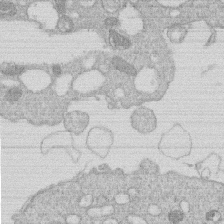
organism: Human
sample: Macrophage cells